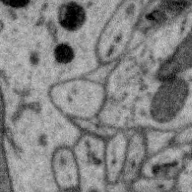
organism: Zebra finch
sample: Brain